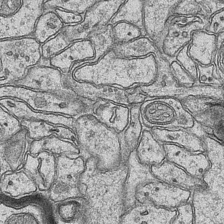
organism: Mouse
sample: CA1 Hippocampus